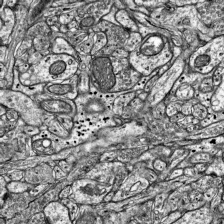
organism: Mouse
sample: Visual Cortex